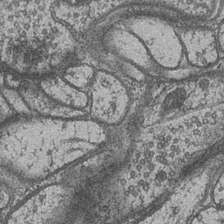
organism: Drosophila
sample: Optic medulla